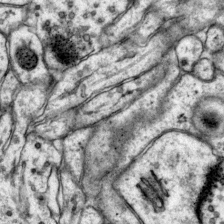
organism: Mouse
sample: Primary visual cortex